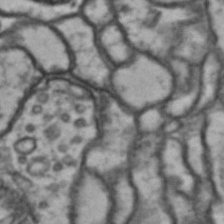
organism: Drosophila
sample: Brain